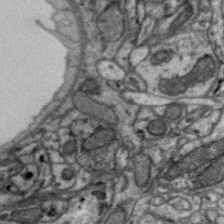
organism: Zebra finch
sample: Brain